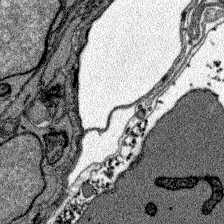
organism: Zebrafish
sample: Larval olfactory bulb